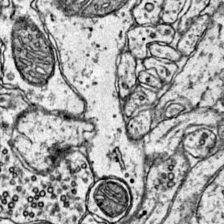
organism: Mouse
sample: Primary visual cortex